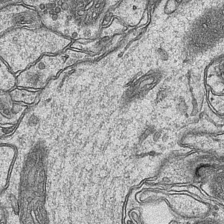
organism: Mouse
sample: CA1 Hippocampus